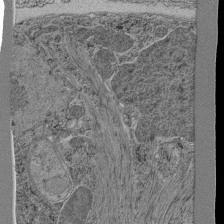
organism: C. elegans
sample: C. elegans pharynx